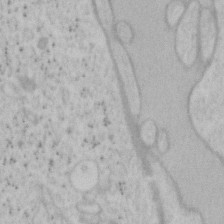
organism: Human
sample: HeLa cells